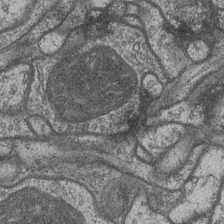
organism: Drosophila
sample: Optic medulla